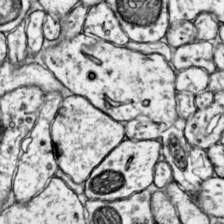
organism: Mouse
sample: Primary visual cortex